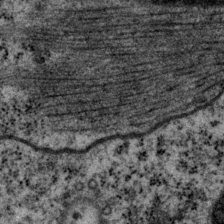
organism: P. pacificus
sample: Pharynx